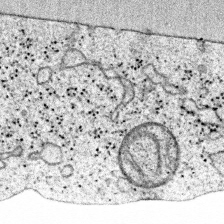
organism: Human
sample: HeLa cells